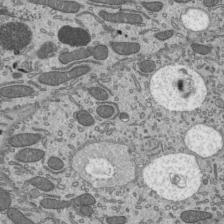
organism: Mouse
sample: Mouse epididymis efferent ductule cilia